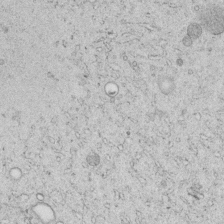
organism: C. elegans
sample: C. elegans embryo early stage